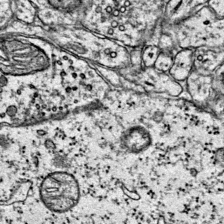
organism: Mouse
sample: Primary visual cortex